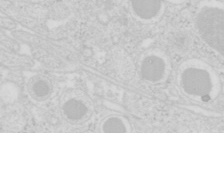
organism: Mouse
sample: Pancreas